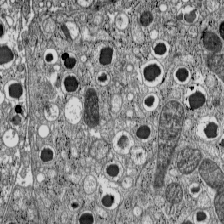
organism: C57BL Mouse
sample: Pancreatic islet